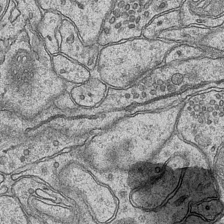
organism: Mouse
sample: CA1 Hippocampus